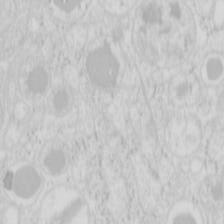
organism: Mouse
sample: Pancreas